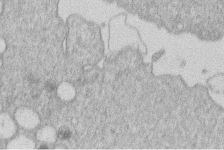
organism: Human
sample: Macrophage cells